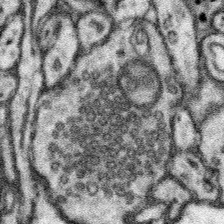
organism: Mouse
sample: Somatosensory cortex neuropil